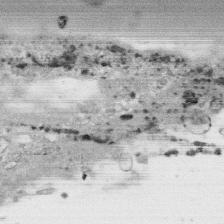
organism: Human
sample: CRL-1474